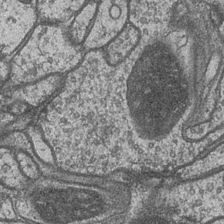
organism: Drosophila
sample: Optic medulla